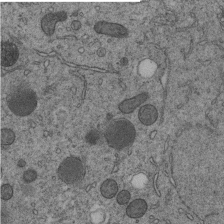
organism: C. elegans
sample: C. elegans embryo early stage